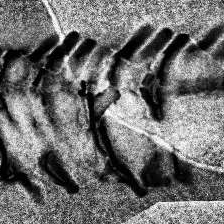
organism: Human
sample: Temporal Lobe